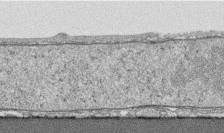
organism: Human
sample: CRL-1474